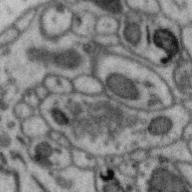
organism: Zebra finch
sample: Brain